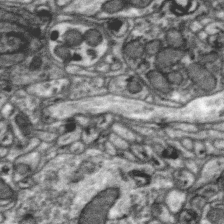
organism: Zebra finch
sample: Brain